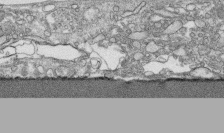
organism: Human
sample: CRL-1474